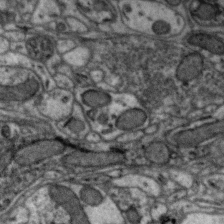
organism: Zebra finch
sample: Brain